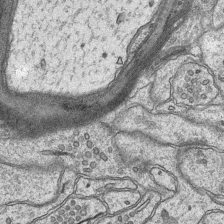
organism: Mouse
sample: CA1 Hippocampus